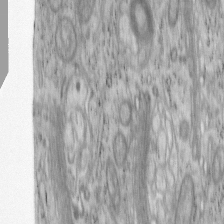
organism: Human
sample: HeLa cells